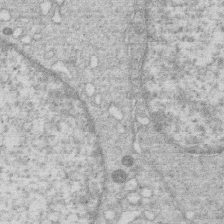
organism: Human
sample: Macrophage cells